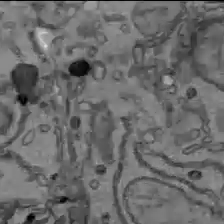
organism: C57BL Mouse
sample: Liver